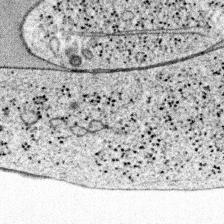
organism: Human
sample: HeLa cells